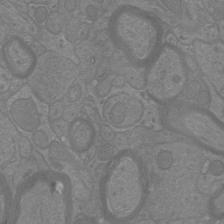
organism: Mouse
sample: Cortical neurons